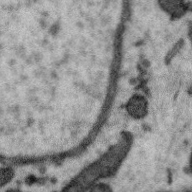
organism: Zebra finch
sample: Brain